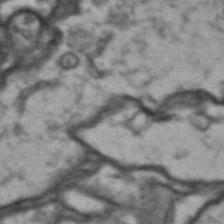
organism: Drosophila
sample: Brain